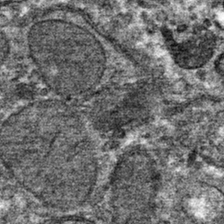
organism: Mouse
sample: Mouse hepatocytes